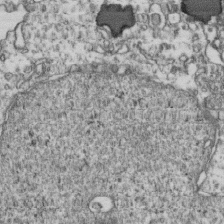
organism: Human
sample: Activated Jurkat CD4+ T cells